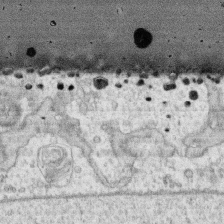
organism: Human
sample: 1205lu cells